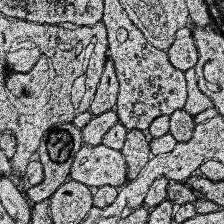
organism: Human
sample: Temporal Lobe